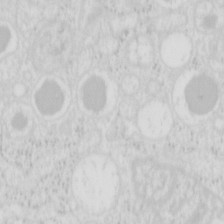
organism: Mouse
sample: Pancreas